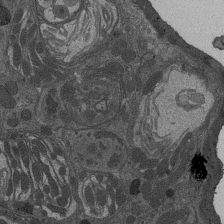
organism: Drosophila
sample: Antenna